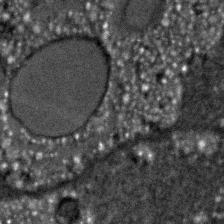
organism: C. elegans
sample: C. elegans embryo